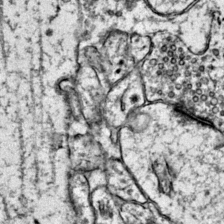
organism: Mouse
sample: Primary visual cortex